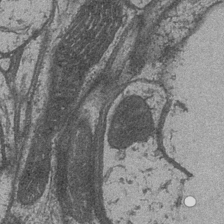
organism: Drosophila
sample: Optic medulla